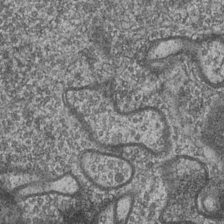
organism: Drosophila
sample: Optic medulla